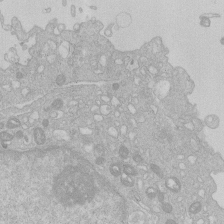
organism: Human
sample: Macrophage cells